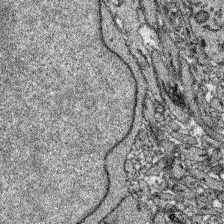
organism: Zebrafish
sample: Larval olfactory bulb